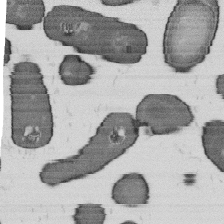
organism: B. subtilis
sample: Bacterial spore